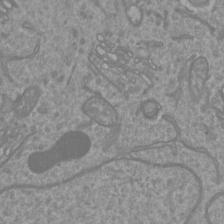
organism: Mouse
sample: Cortical neurons